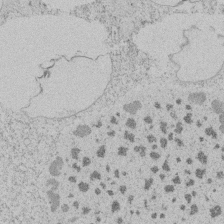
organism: Tetrahymena